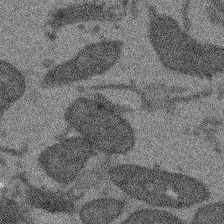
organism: Arabidopsis thaliana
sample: Root tip